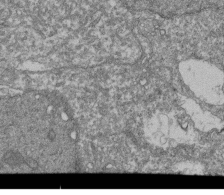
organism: Human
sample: Retinal organoid Rod and Cone cells